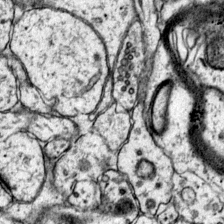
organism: Mouse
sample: Primary visual cortex